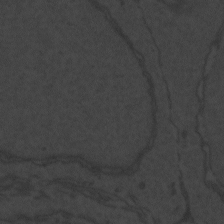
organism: Zebrafish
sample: Macrophage infected with Toxoplasma gondii